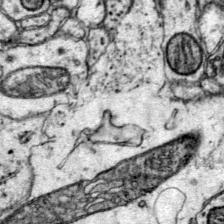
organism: Mouse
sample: Primary visual cortex